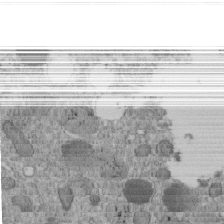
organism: C. elegans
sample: C. elegans embryo early stage